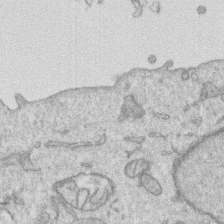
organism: Human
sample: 1205lu cells